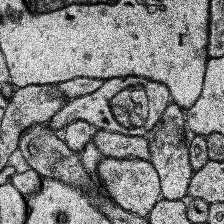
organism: Human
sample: Temporal Lobe